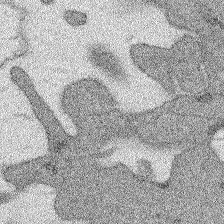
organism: Human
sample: HeLa cells